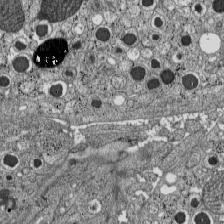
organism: C57BL Mouse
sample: Pancreatic islet